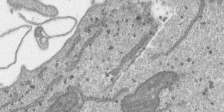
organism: Human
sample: Lung epithelial cells infected with SARS-CoV-2